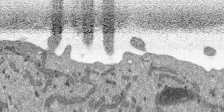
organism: Human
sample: Lung epithelial cells infected with SARS-CoV-2